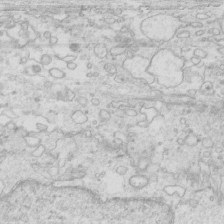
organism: Mouse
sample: Multiciliated cells